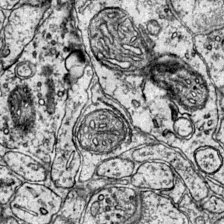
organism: Mouse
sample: Primary visual cortex